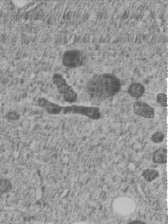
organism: C. elegans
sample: C. elegans embryo early stage